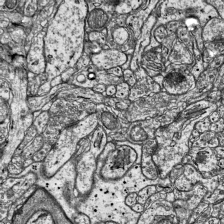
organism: Mouse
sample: Visual Cortex